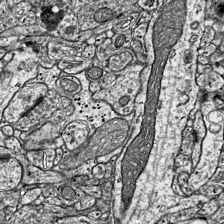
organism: Mouse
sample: Visual Cortex